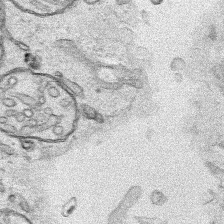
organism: Human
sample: Mitochondria in HCT116 cells